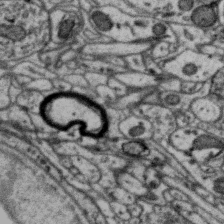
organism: Zebra finch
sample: Brain